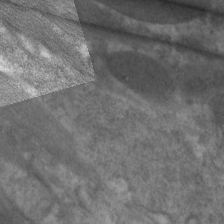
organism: C. elegans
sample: Pharynx